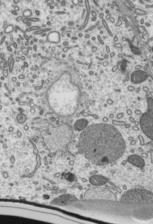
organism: Mouse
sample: Mouse epididymis efferent ductule cilia